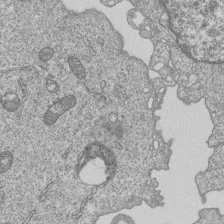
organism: Human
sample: MDA-MB-231 cells